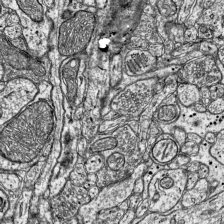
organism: Mouse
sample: Visual Cortex